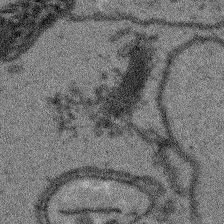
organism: Arabidopsis thaliana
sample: Root tip